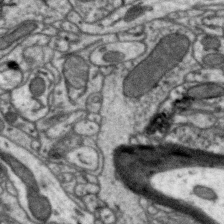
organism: Zebra finch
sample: Brain